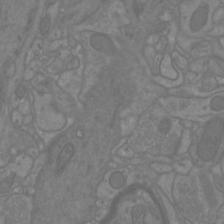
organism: Mouse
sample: Cortical neurons